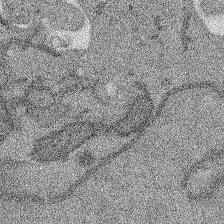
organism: Human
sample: HeLa cells